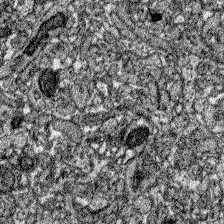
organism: Zebrafish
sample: Larval olfactory bulb